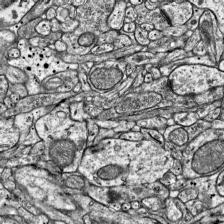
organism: Mouse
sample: Visual Cortex